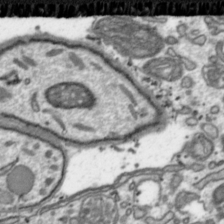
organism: Toxoplasma gondii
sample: Parasites in a vacuole inside a host cell